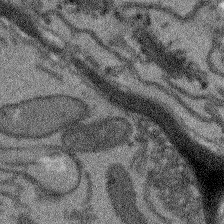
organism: Arabidopsis thaliana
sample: Root tip